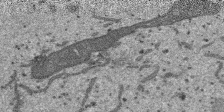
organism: Human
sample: Lung epithelial cells infected with SARS-CoV-2